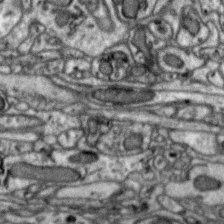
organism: Zebra finch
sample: Brain